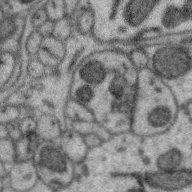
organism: Zebra finch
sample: Brain